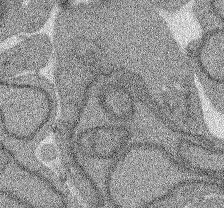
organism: Human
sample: HeLa cells